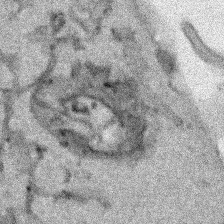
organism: Human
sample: Mitochondria in HCT116 cells